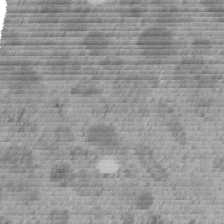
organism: C. elegans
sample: C. elegans embryo early stage